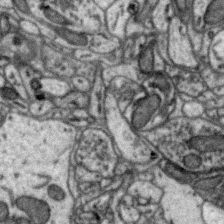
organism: Zebra finch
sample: Brain